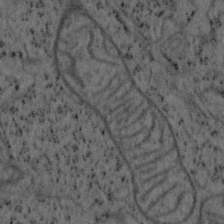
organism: Human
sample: HeLa cells